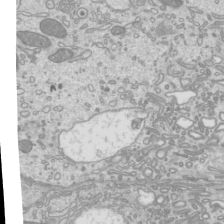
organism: Mouse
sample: Cilia; mouse epididymis